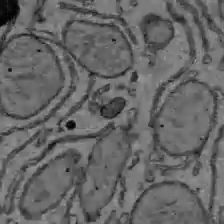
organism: C57BL Mouse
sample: Liver